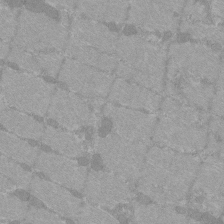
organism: C57BL Mouse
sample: Tibialis anterior muscle cell